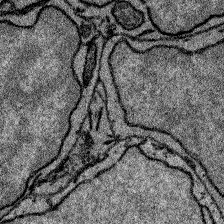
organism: Zebrafish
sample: Larval olfactory bulb